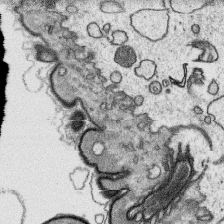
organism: Platynereis dumerilii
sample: Parapodia